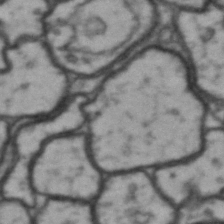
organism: Drosophila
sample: Brain